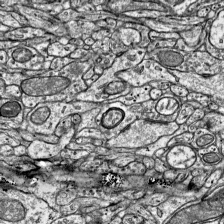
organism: Mouse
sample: Visual Cortex